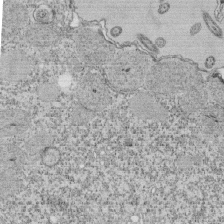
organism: Tetrahymena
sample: Cilia in tetrahymena